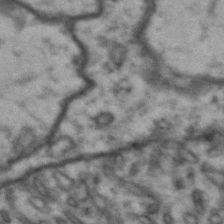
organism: Drosophila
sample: Brain